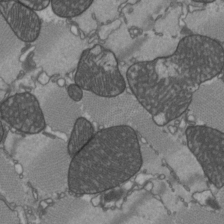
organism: C57BL Mouse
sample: Heart